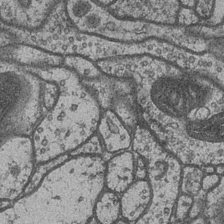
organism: Drosophila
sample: Optic medulla